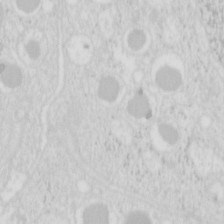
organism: Mouse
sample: Pancreas